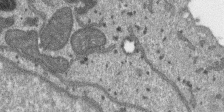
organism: Human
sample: Lung epithelial cells infected with SARS-CoV-2